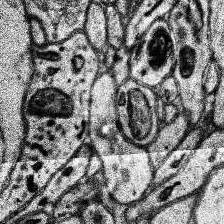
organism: Human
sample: Temporal Lobe